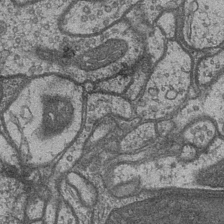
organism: Drosophila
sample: Optic medulla